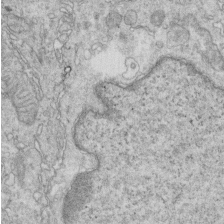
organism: Mouse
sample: Multiciliated cells